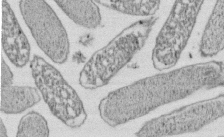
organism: E. coli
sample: Bacterial nucleoid